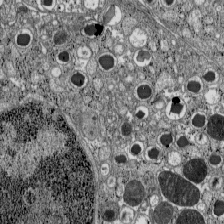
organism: C57BL Mouse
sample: Pancreatic islet